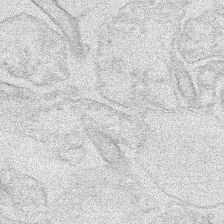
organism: Human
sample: Mitochondria in HCT116 cells